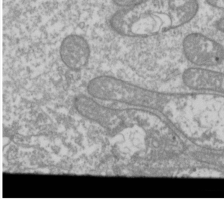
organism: Drosophila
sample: Cell division; meiosis; drosophila spermatocytes